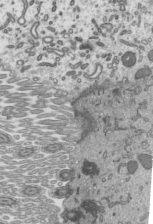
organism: Mouse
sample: Mouse epididymis efferent ductule cilia